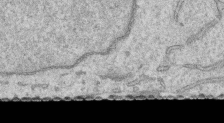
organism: Human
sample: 1205lu cells